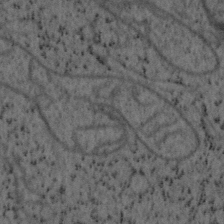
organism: Human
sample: HeLa cells